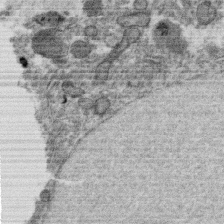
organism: C. elegans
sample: C. elegans oocyte; sperm cells